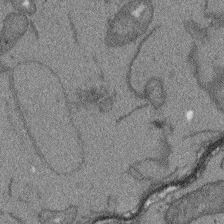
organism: Arabidopsis thaliana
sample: Root tip